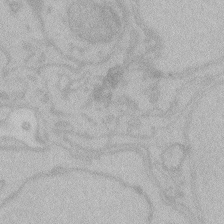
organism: Zebrafish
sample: Macrophage infected with Toxoplasma gondii